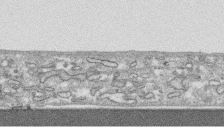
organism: Human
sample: CRL-1474